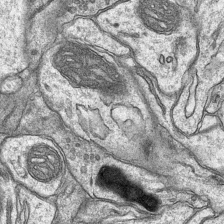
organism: Mouse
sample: CA1 Hippocampus